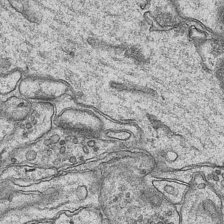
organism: Mouse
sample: CA1 Hippocampus